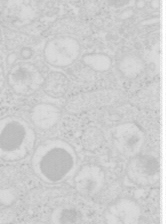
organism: Mouse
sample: Pancreas